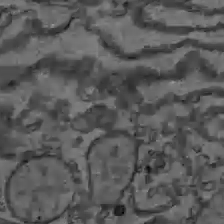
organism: C57BL Mouse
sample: Liver